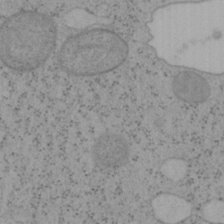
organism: Mouse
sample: OT-I killer T cells with ID8 ovarian cancer cells